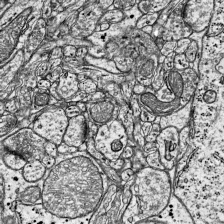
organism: Mouse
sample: Visual Cortex